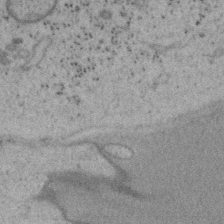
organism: Human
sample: HeLa cells